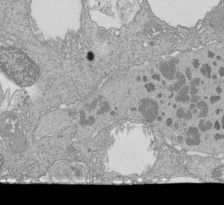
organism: Tetrahymena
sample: Cilia in tetrahymena